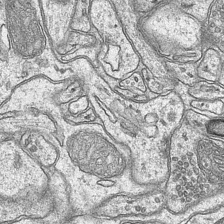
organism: Mouse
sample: CA1 Hippocampus